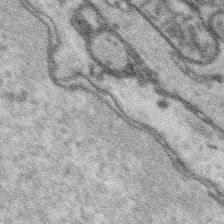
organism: Platynereis dumerilii